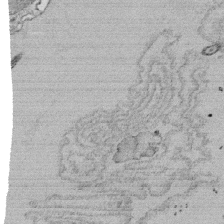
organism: Tetrahymena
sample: Cilia in tetrahymena